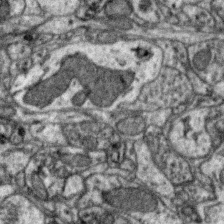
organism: Zebra finch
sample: Brain